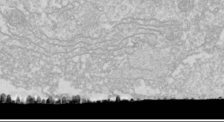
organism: Drosophila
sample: Cell division; meiosis; drosophila spermatocytes